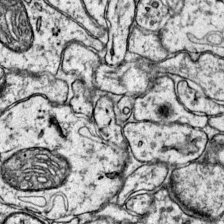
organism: Mouse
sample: Primary visual cortex